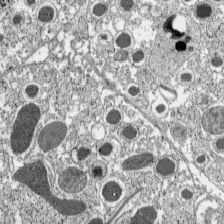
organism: C57BL Mouse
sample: Pancreatic islet